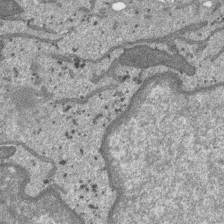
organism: Human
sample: Lung epithelial cells infected with SARS-CoV-2